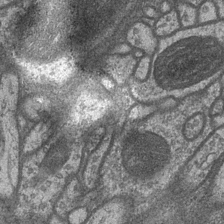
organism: Drosophila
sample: Optic medulla